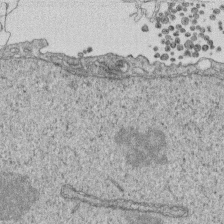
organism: Human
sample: HeLa cell HIV synapse